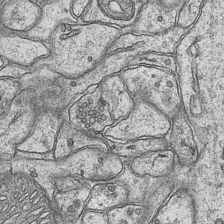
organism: Mouse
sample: CA1 Hippocampus